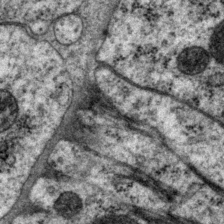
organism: P. pacificus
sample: Pharynx